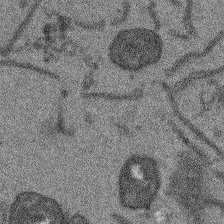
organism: Arabidopsis thaliana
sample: Root tip